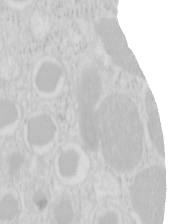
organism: Mouse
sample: Pancreas